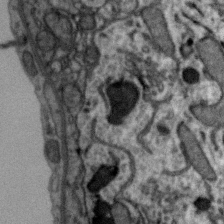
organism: Zebra finch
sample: Brain